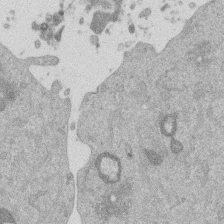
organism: Mouse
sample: Dividing mouse embryo 1 cell stage